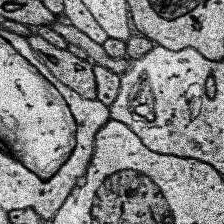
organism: Human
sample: Temporal Lobe